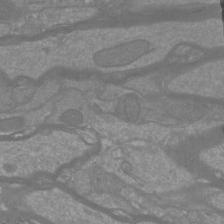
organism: Mouse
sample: Cortical neurons